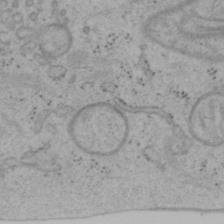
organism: Human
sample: HeLa cells